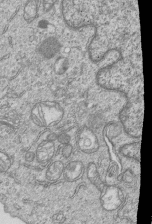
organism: Human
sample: MDA-MB-231 cells